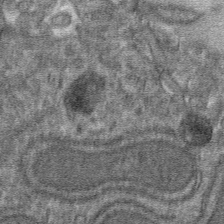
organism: Mouse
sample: Mouse hepatocytes